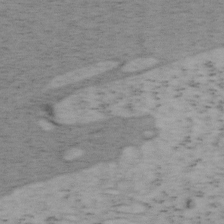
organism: Mouse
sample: OT-I killer T cells with ID8 ovarian cancer cells